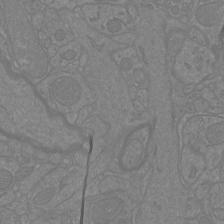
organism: Mouse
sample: Cortical neurons